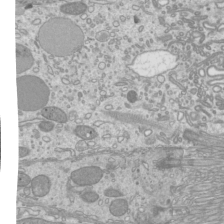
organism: Mouse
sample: Cilia; mouse epididymis